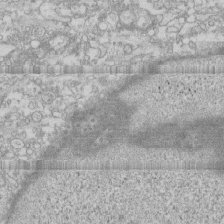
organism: Human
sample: CRL-1474